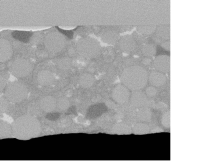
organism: C. elegans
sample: C. elegans oocyte; sperm cells